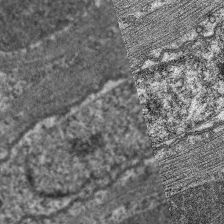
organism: C. elegans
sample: Pharynx